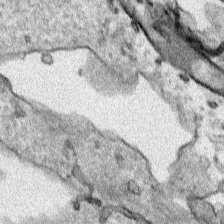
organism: Human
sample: Mitochondria in HCT116 cells